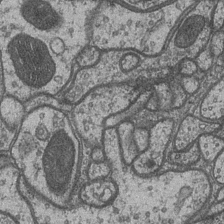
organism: Drosophila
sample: Optic medulla